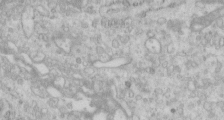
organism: Human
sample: Centriole in RPE cells